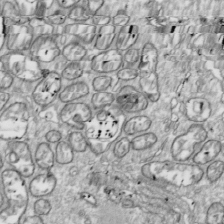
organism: Drosophila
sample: Cell division; meiosis; drosophila spermatocytes